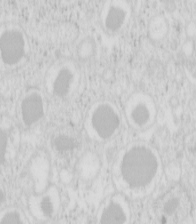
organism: Mouse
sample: Pancreas